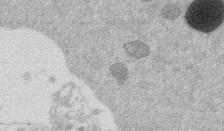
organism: Mouse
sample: Dividing mouse embryo 1 cell stage